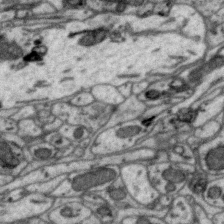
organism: Zebra finch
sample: Brain